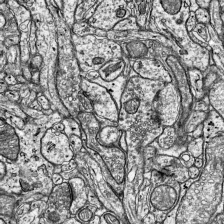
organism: Mouse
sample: Visual Cortex